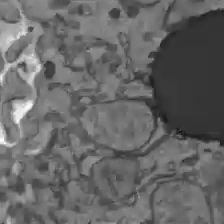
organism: C57BL Mouse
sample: Liver